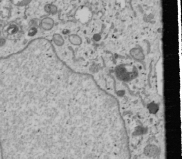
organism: Human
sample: Mitochondria in U2OS cells